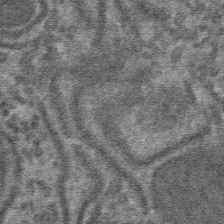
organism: Mouse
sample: Mouse hepatocytes